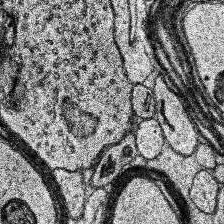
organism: Human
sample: Temporal Lobe